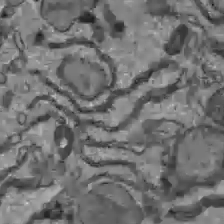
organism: C57BL Mouse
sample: Liver